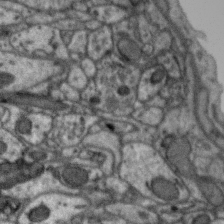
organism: Zebra finch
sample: Brain